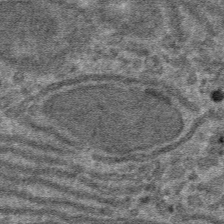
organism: Mouse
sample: Mouse hepatocytes